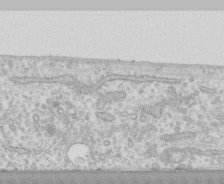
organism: Human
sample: CRL-1474